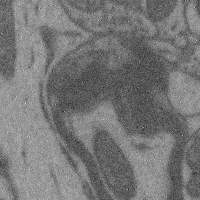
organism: Mouse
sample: Cerebral cortex